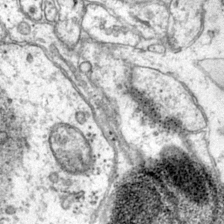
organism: Mouse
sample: Primary visual cortex